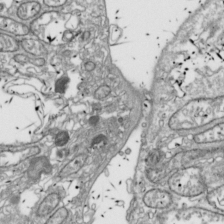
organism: Drosophila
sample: Cell division; meiosis; drosophila spermatocytes